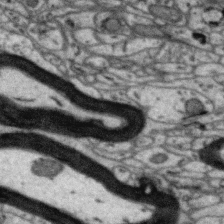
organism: Zebra finch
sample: Brain